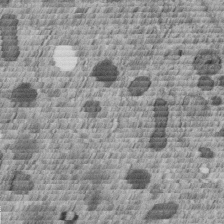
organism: C. elegans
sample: C. elegans embryo early stage